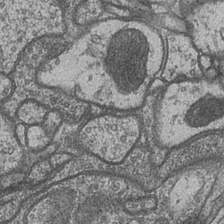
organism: Drosophila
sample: Optic medulla